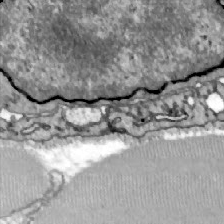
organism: Zebrafish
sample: Actinotrichia fibers